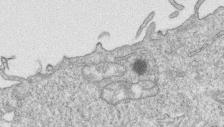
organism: Human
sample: HeLa cell HIV synapse